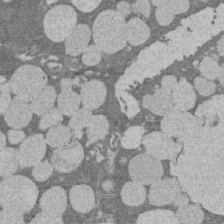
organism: Rat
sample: Salivary granule